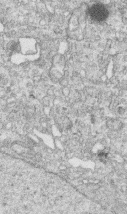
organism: Human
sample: HeLa cell HIV synapse